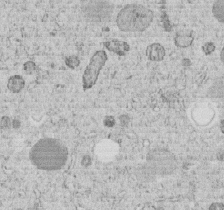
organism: C. elegans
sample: C. elegans embryo early stage